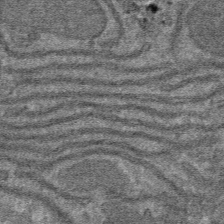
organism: Mouse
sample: Mouse hepatocytes